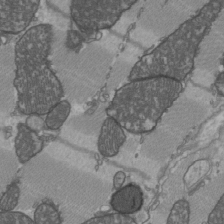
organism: C57BL Mouse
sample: Heart